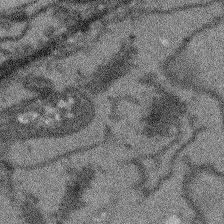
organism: Arabidopsis thaliana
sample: Root tip